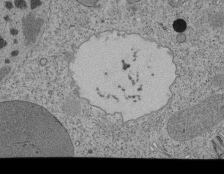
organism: Tetrahymena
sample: Cilia in tetrahymena